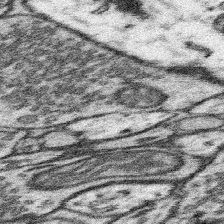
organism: Mouse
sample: Somatosensory cortex neuropil